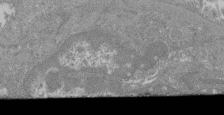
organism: Mouse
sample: Glomerulus